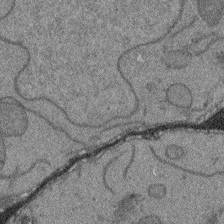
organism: Arabidopsis thaliana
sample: Root tip